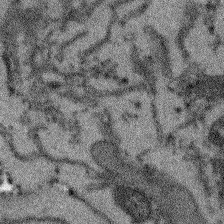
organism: Arabidopsis thaliana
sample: Root tip